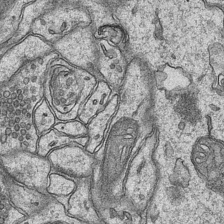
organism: Mouse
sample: CA1 Hippocampus